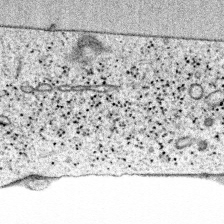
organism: Human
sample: HeLa cells